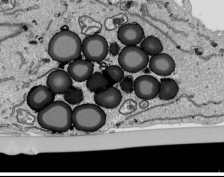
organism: Human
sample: Mitochondria in HCT116 cells